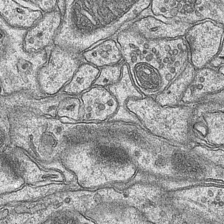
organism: Mouse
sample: CA1 Hippocampus